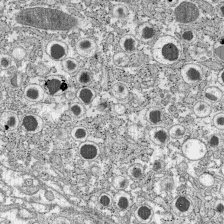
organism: C57BL Mouse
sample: Pancreatic islet